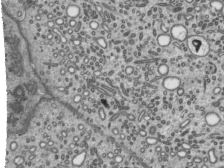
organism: Mouse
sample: Mouse epididymis efferent ductule cilia